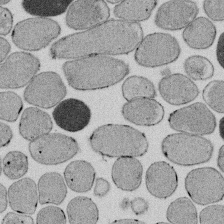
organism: E. coli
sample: Bacterial nucleoid